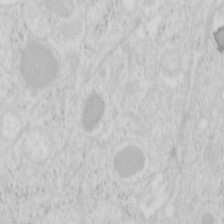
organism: Mouse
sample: Pancreas